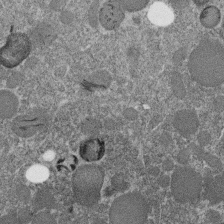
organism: C. elegans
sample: C. elegans embryo early stage